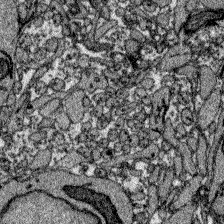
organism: Zebrafish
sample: Larval olfactory bulb